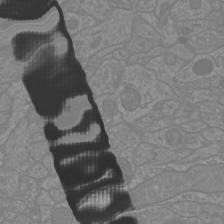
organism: Mouse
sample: Cortical neurons